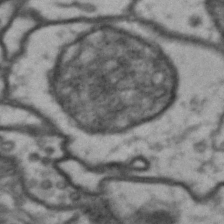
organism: Drosophila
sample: Brain